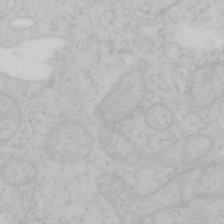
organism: Mouse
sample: OT-I killer T cells with ID8 ovarian cancer cells